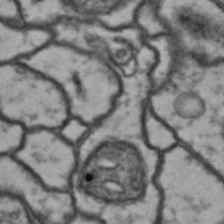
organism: Drosophila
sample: Brain